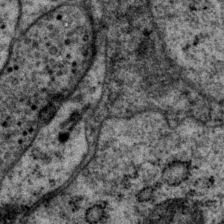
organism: P. pacificus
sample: Pharynx